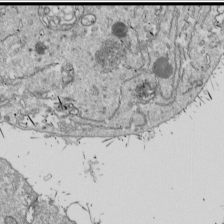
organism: Drosophila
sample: Cell division; meiosis; drosophila spermatocytes